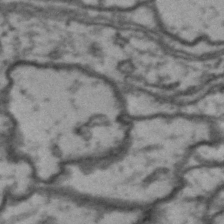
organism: Drosophila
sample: Brain